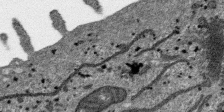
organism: Human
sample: Lung epithelial cells, uninfected (mock) control